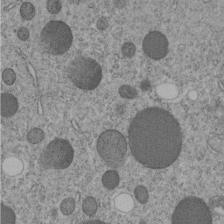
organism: C. elegans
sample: C. elegans embryo early stage